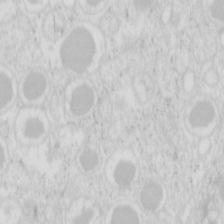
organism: Mouse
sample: Pancreas